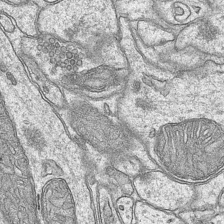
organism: Mouse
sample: CA1 Hippocampus